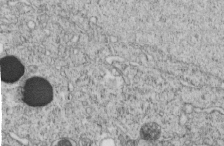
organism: C. elegans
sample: C. elegans embryo early stage